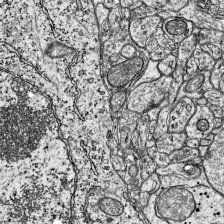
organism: Mouse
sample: Visual Cortex